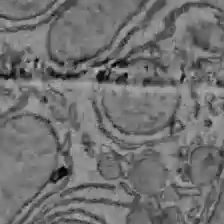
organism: C57BL Mouse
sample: Liver